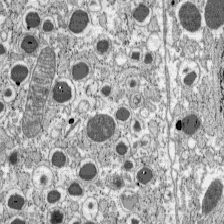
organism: C57BL Mouse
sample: Pancreatic islet